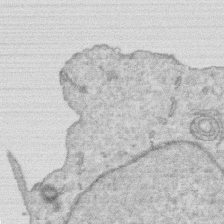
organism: Human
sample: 1205lu cells